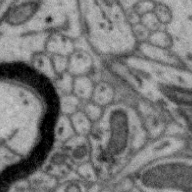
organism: Zebra finch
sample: Brain